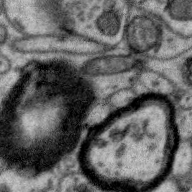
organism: Zebra finch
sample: Brain